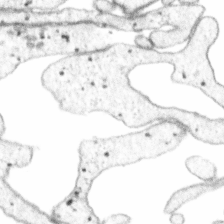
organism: Human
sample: HeLa cells